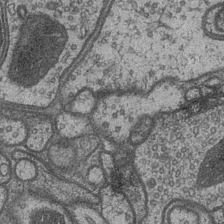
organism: Drosophila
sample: Optic medulla